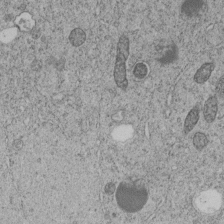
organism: C. elegans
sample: C. elegans embryo early stage